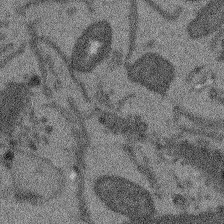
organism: Arabidopsis thaliana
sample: Root tip